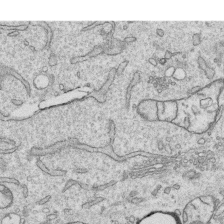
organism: Human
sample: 1205lu cells